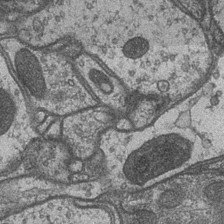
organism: Drosophila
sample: Optic medulla